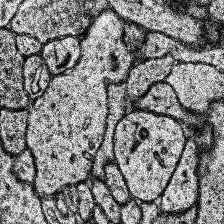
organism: Human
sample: Temporal Lobe